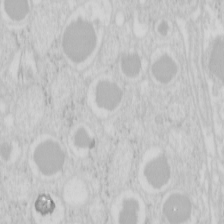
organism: Mouse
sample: Pancreas